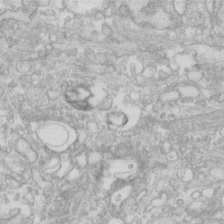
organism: Human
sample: Fibroblast cells